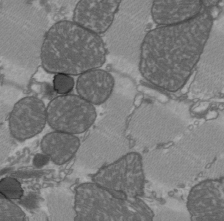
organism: C57BL Mouse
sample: Heart